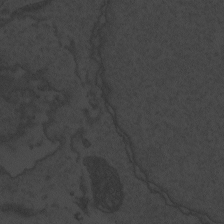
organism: Zebrafish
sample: Macrophage infected with Toxoplasma gondii